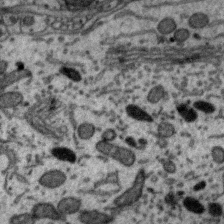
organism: Zebra finch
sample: Brain